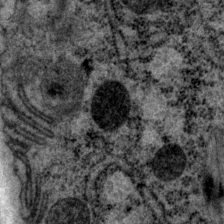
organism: P. pacificus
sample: Pharynx